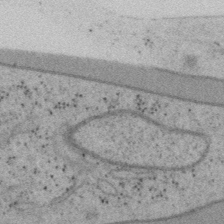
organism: Human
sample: HeLa cells